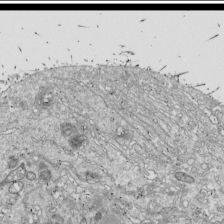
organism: Drosophila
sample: Cell division; meiosis; drosophila spermatocytes